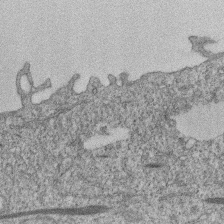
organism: Human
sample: HeLa cell HIV synapse